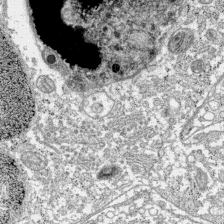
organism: C57BL Mouse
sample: Pancreatic islet